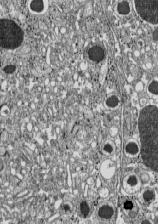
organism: C57BL Mouse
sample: Pancreatic islet